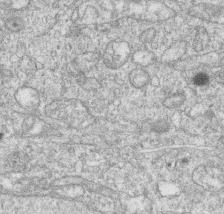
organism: Human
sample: HeLa cell HIV synapse